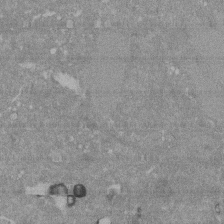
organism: Mouse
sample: ED-1 cell nuclei; centrioles